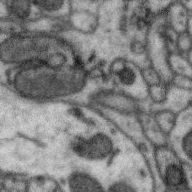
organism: Zebra finch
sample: Brain